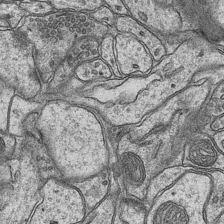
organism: Mouse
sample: CA1 Hippocampus